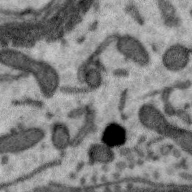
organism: Zebra finch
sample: Brain